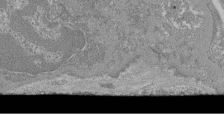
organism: Mouse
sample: Glomerulus